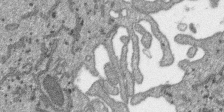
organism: Human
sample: Lung epithelial cells infected with SARS-CoV-2